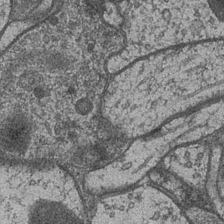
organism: Drosophila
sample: Optic medulla